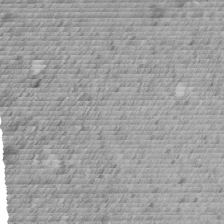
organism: C. elegans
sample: C. elegans embryo early stage